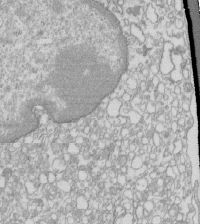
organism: Mouse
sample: Macrophages